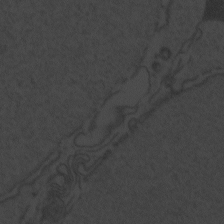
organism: Zebrafish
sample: Macrophage infected with Toxoplasma gondii